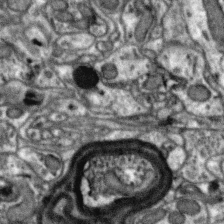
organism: Zebra finch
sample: Brain